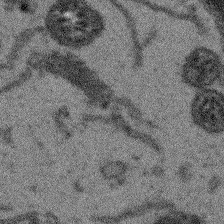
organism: Arabidopsis thaliana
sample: Root tip